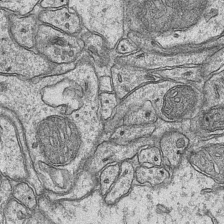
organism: Mouse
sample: CA1 Hippocampus